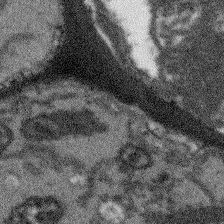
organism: Arabidopsis thaliana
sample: Root tip